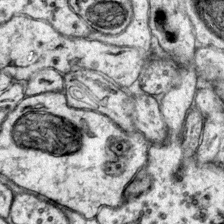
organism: Mouse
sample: Primary visual cortex